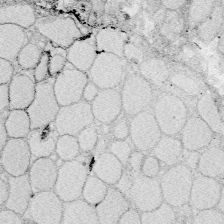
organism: Zebrafish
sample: Whole-Brain